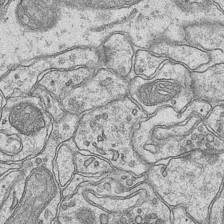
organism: Mouse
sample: CA1 Hippocampus